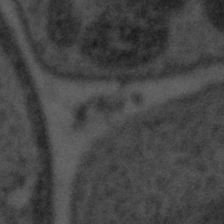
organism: Tuwongella immobilis